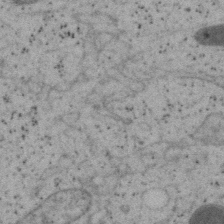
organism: Human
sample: HeLa cells